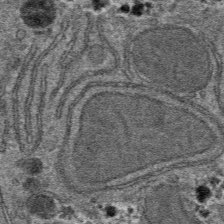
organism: Mouse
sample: Mouse hepatocytes